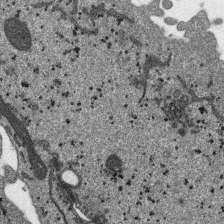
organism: Human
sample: Lung epithelial cells infected with SARS-CoV-2